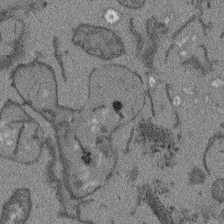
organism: Arabidopsis thaliana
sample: Root tip